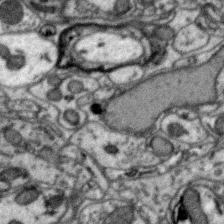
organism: Zebra finch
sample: Brain